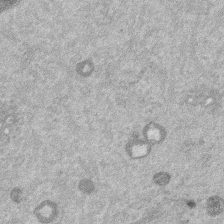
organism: Mouse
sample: Dividing mouse embryo 1 cell stage